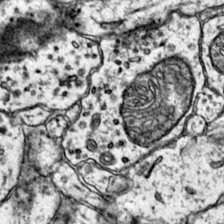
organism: Mouse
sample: Primary visual cortex